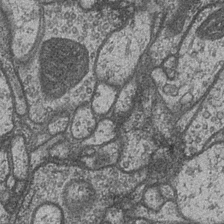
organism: Drosophila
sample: Optic medulla